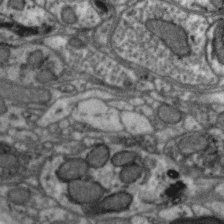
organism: Zebra finch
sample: Brain